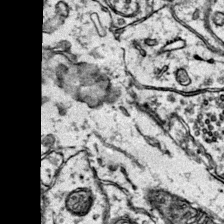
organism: Mouse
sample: Primary visual cortex